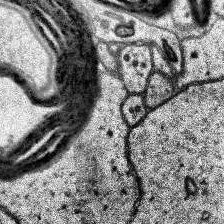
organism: Human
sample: Temporal Lobe